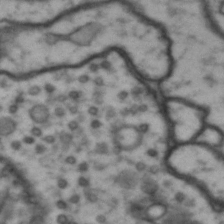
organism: Drosophila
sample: Brain